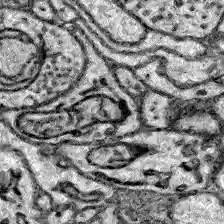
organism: Zebrafish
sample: Brain